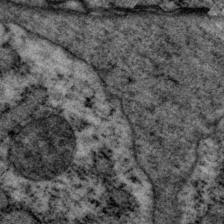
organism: P. pacificus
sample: Pharynx